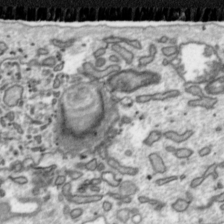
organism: Toxoplasma gondii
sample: Parasites in a vacuole inside a host cell